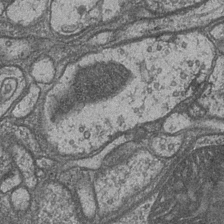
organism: Drosophila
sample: Optic medulla